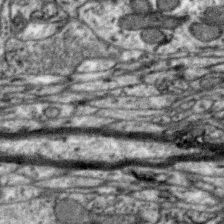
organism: Zebra finch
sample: Brain